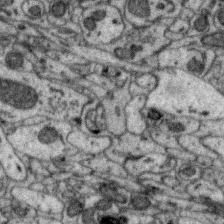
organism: Zebra finch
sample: Brain